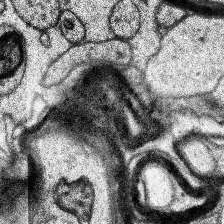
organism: Human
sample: Temporal Lobe